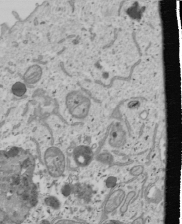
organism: Human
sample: Mitochondria in U2OS cells